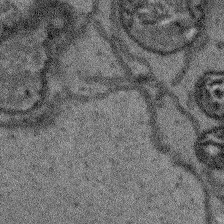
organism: Arabidopsis thaliana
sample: Root tip